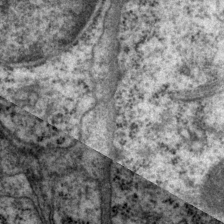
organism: P. pacificus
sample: Pharynx